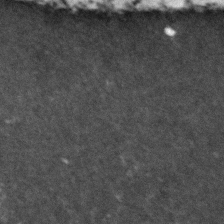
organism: Zebrafish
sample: Zebrafish embryo